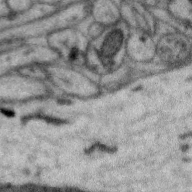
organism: Zebra finch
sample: Brain